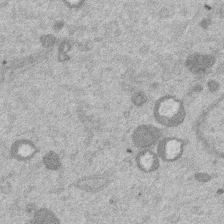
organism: Mouse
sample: Dividing mouse embryo 1 cell stage